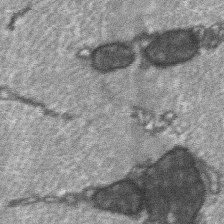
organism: C57BL Mouse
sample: Soleus